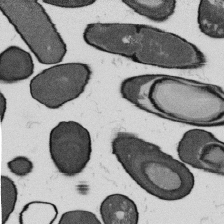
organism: B. subtilis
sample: Bacterial spore